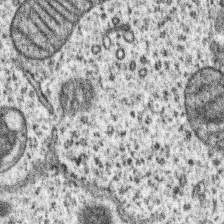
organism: Human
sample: HeLa cells